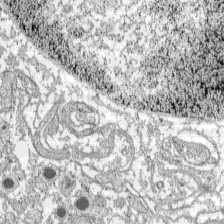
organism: C57BL Mouse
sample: Pancreatic islet